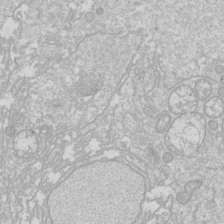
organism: Drosophila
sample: Cell division; meiosis; drosophila spermatocytes